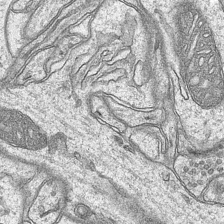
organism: Mouse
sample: CA1 Hippocampus